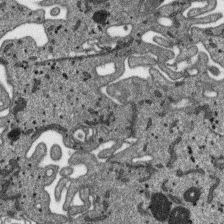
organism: Human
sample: Lung epithelial cells infected with SARS-CoV-2